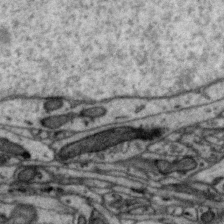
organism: Zebra finch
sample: Brain